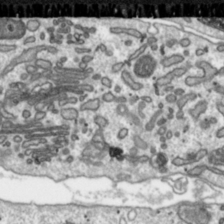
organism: Toxoplasma gondii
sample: Parasites in a vacuole inside a host cell